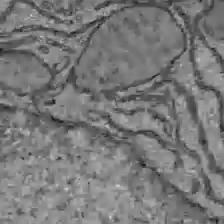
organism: C57BL Mouse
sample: Liver